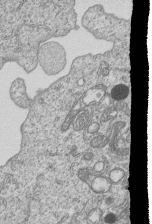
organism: Human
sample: MDA-MB-231 cells